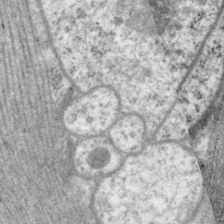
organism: P. pacificus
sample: Pharynx